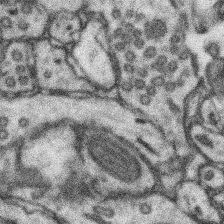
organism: Mouse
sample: Somatosensory cortex neuropil